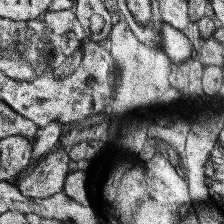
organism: Human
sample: Temporal Lobe